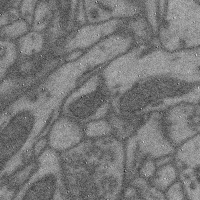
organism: Mouse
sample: Cerebral cortex